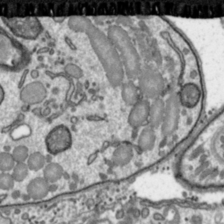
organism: Toxoplasma gondii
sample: Parasites in a vacuole inside a host cell